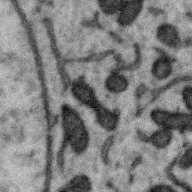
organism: Zebra finch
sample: Brain